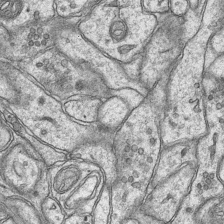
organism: Mouse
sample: CA1 Hippocampus